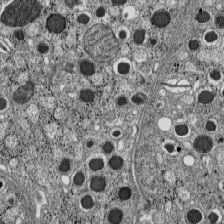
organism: C57BL Mouse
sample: Pancreatic islet